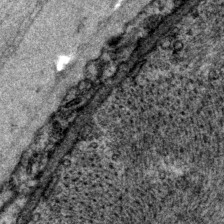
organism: P. pacificus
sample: Pharynx